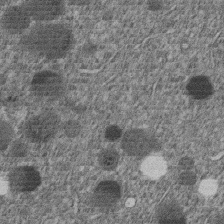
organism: C. elegans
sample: C. elegans embryo early stage